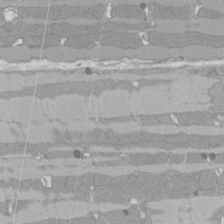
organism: Rat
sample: Left ventricle